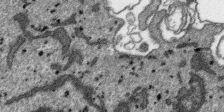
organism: Human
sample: Lung epithelial cells, uninfected (mock) control